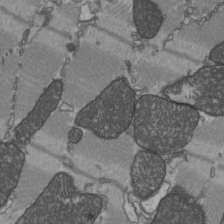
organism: C57BL Mouse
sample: Heart